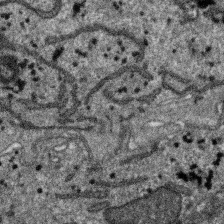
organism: Human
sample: Lung epithelial cells infected with SARS-CoV-2